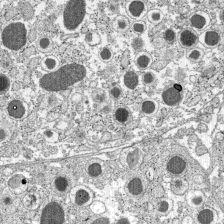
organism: C57BL Mouse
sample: Pancreatic islet